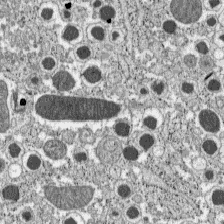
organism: C57BL Mouse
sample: Pancreatic islet